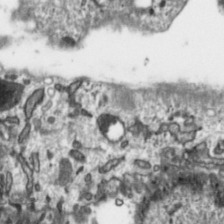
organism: Toxoplasma gondii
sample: Parasites in a vacuole inside a host cell